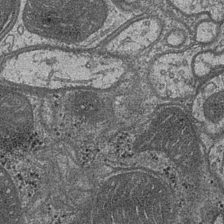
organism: Drosophila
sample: Optic medulla